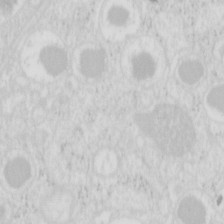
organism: Mouse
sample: Pancreas